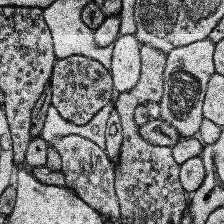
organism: Human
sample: Temporal Lobe